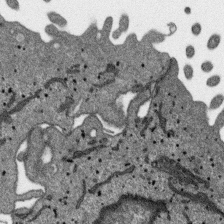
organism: Human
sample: Lung epithelial cells, uninfected (mock) control